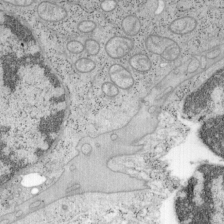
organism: Mouse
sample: OT-I killer T cells with ID8 ovarian cancer cells